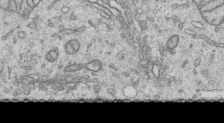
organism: Human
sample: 1205lu cells